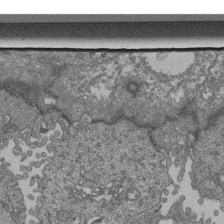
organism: Human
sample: Retinal organoid Rod and Cone cells